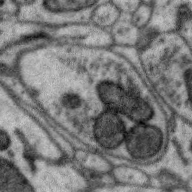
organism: Zebra finch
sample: Brain